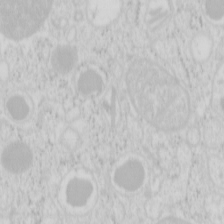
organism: Mouse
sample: Pancreas